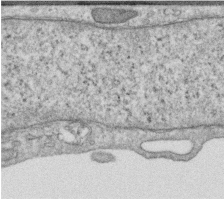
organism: Human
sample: Centriole in RPE cells